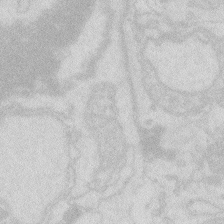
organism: Zebrafish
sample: Macrophage